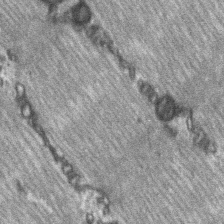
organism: C57BL Mouse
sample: Soleus